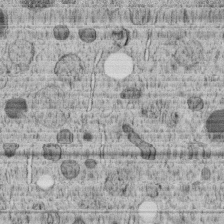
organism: C. elegans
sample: C. elegans embryo early stage